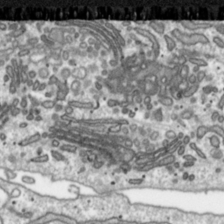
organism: Toxoplasma gondii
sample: Parasites in a vacuole inside a host cell